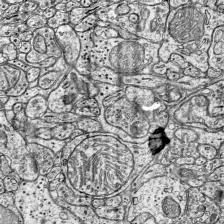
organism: Mouse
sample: Visual Cortex